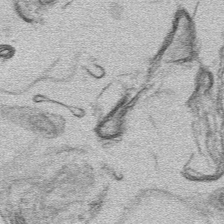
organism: Mouse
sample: Mouse hepatocytes